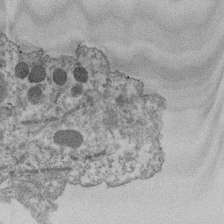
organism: Dictyostelium discoideum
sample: Dictyostelium multivesicular bodies